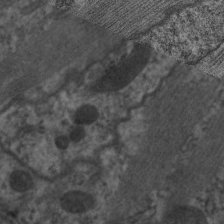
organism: C. elegans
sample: Pharynx